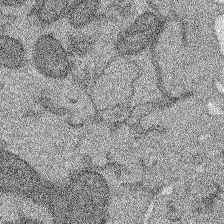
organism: Human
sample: HeLa cells